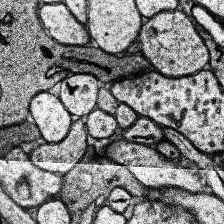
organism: Human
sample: Temporal Lobe